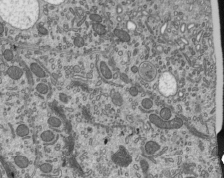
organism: Mouse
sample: Mouse epididymis efferent ductule cilia